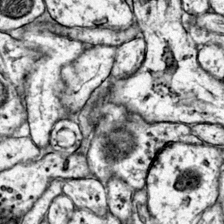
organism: Mouse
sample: Primary visual cortex